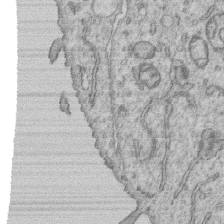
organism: Human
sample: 1205lu cells